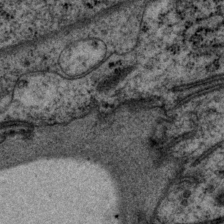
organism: P. pacificus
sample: Pharynx